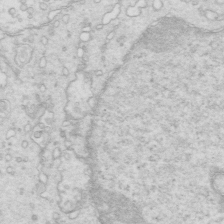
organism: Mouse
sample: Multiciliated cells